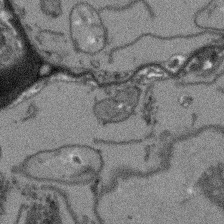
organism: Arabidopsis thaliana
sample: Root tip